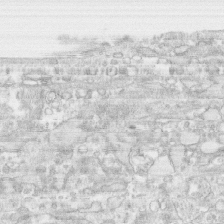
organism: Human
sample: CRL-1474